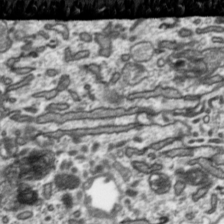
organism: Toxoplasma gondii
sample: Parasites in a vacuole inside a host cell